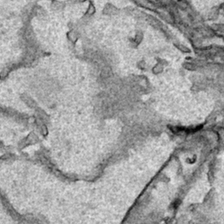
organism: Human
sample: Mitochondria in HCT116 cells